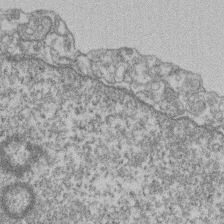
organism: Mouse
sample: T cell stromal cell synapse